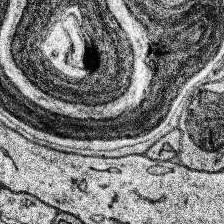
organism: Human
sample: Temporal Lobe